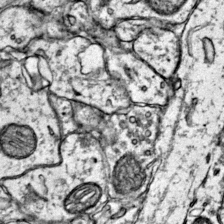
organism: Mouse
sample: Primary visual cortex